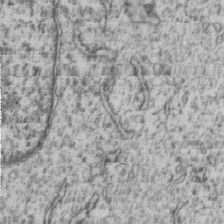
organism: Human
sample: MDA-MB-231 cells